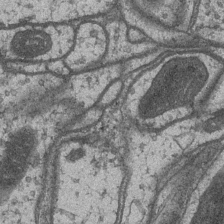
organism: Drosophila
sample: Optic medulla